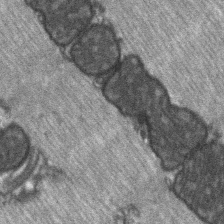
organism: C57BL Mouse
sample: Soleus